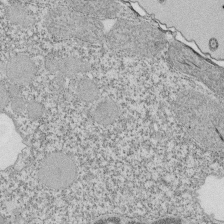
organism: Tetrahymena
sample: Cilia in tetrahymena